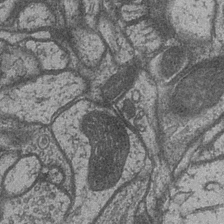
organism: Drosophila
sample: Optic medulla